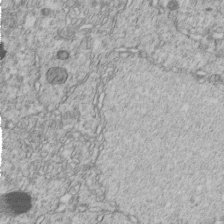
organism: C. elegans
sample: C. elegans embryo early stage